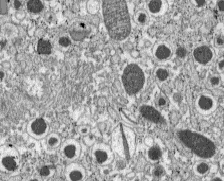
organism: C57BL Mouse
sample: Pancreatic islet